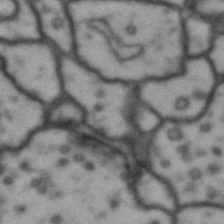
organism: Drosophila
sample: Brain